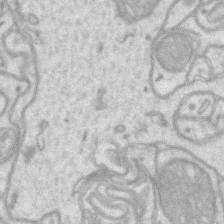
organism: Mouse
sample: CA1 Hippocampus